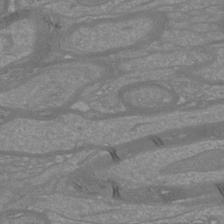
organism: Mouse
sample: Cortical neurons